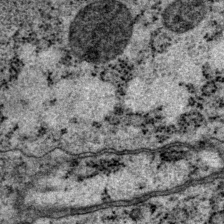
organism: P. pacificus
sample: Pharynx